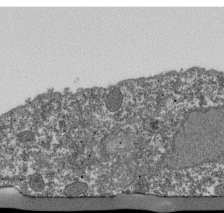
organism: Dictyostelium discoideum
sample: Dictyostelium multivesicular bodies